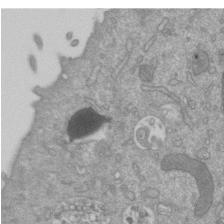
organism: Mouse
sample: ED-1 cell nuclei; centrioles